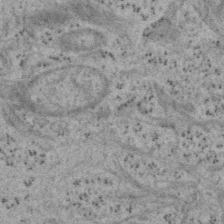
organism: Human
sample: HeLa cells